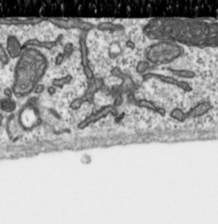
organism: Toxoplasma gondii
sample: Parasites in a vacuole inside a host cell